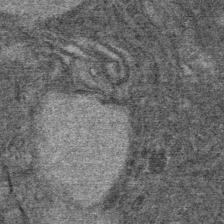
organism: Mouse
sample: Mouse Salivary gland